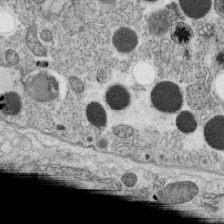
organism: C. elegans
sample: C. elegans oocyte; sperm cells